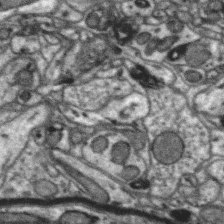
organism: Zebra finch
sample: Brain